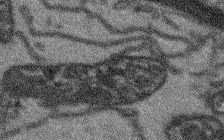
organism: Arabidopsis thaliana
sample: Root tip